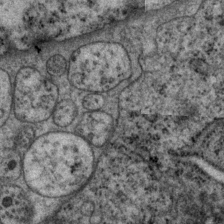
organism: P. pacificus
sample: Pharynx